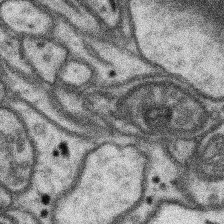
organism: Mouse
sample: Somatosensory cortex neuropil